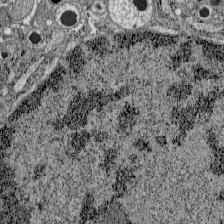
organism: C57BL Mouse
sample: Pancreatic islet